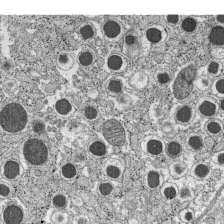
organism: C57BL Mouse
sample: Pancreatic islet